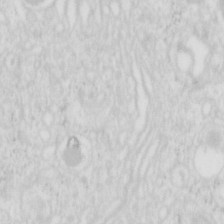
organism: Mouse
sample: Pancreas